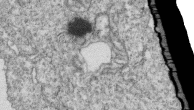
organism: Human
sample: HeLa cell HIV synapse